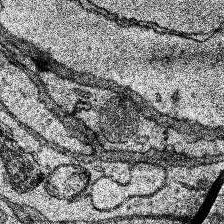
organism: Human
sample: Temporal Lobe